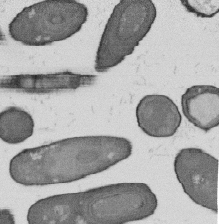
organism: B. subtilis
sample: Bacterial spore